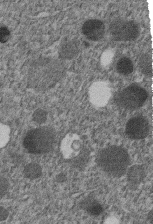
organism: C. elegans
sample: C. elegans embryo early stage